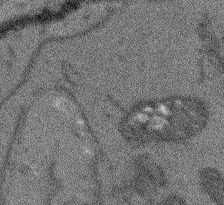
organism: Arabidopsis thaliana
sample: Root tip